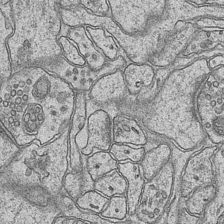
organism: Mouse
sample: CA1 Hippocampus